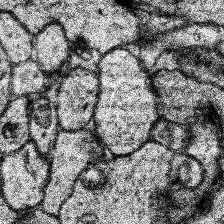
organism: Human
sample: Temporal Lobe